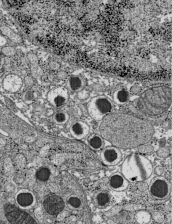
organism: C57BL Mouse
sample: Pancreatic islet